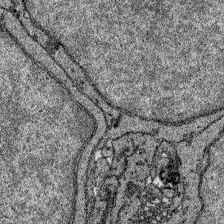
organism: Zebrafish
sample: Larval olfactory bulb